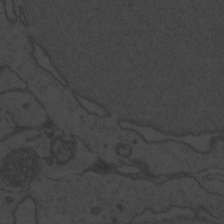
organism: Zebrafish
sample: Macrophage infected with Toxoplasma gondii